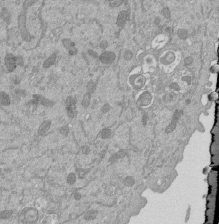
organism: Mouse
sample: ED-1 cell nuclei; centrioles